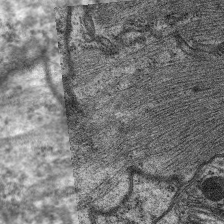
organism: C. elegans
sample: Pharynx